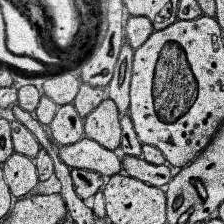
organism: Human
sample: Temporal Lobe